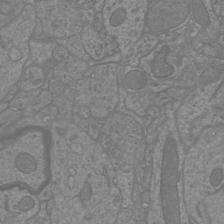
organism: Mouse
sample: Cortical neurons